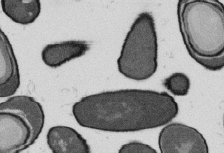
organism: B. subtilis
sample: Bacterial spore